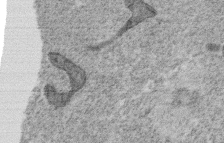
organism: C. elegans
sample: C. elegans oocyte; sperm cells